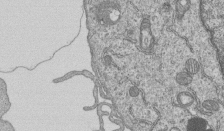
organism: Human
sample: MDA-MB-231 cells